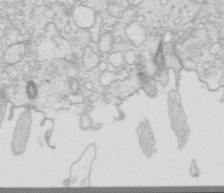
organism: Mouse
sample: Multiciliated cells